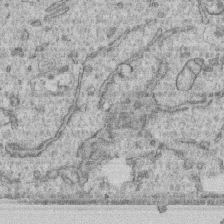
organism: Human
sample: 1205lu cells